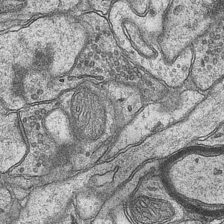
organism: Mouse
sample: CA1 Hippocampus